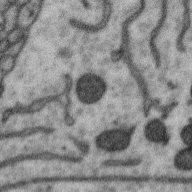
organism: Zebra finch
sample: Brain